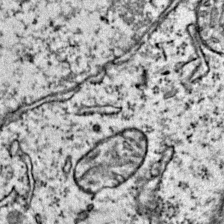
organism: Mouse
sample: Primary visual cortex